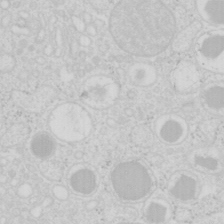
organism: Mouse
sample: Pancreas